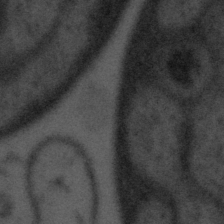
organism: Tuwongella immobilis